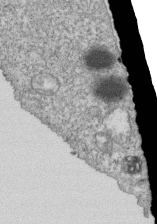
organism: Human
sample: HeLa cell HIV synapse